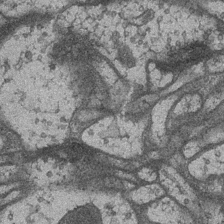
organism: Drosophila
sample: Optic medulla